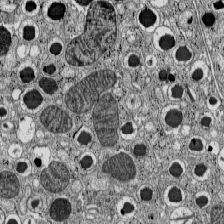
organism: C57BL Mouse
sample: Pancreatic islet